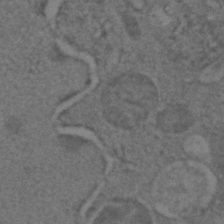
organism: C. elegans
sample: C. elegans embryo